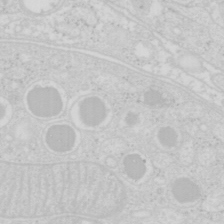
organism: Mouse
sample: Pancreas